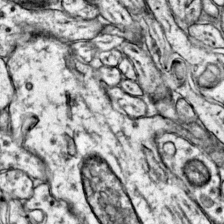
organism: Mouse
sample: Primary visual cortex